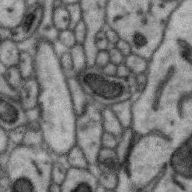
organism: Zebra finch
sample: Brain